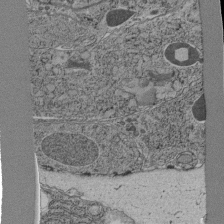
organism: C. elegans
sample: C. elegans pharynx